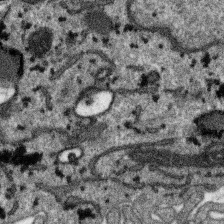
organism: Human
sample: Lung epithelial cells infected with SARS-CoV-2